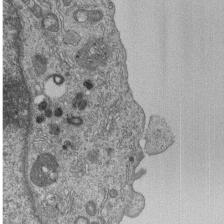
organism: Human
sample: MDA-MB-231 cells